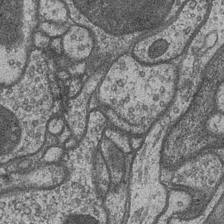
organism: Drosophila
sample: Optic medulla